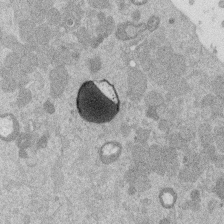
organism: Mouse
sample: Dividing mouse embryo 1 cell stage